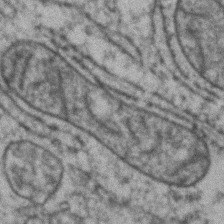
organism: Zebrafish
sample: Zebrafish embryo